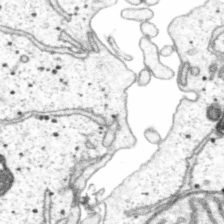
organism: Human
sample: HeLa cells